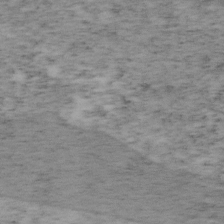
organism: Mouse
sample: OT-I killer T cells with ID8 ovarian cancer cells